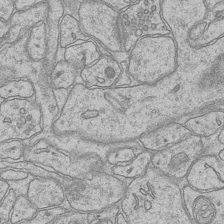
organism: Mouse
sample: CA1 Hippocampus